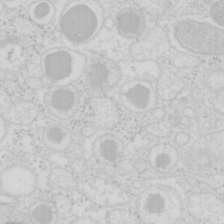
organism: Mouse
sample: Pancreas